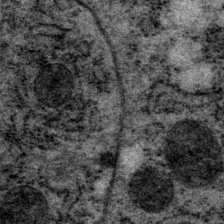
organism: P. pacificus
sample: Pharynx